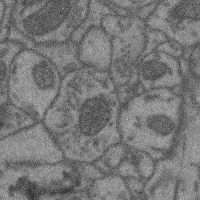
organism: Mouse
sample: Cerebral cortex